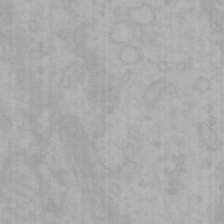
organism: Mouse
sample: Choroid plexus